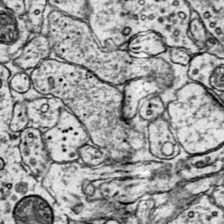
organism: Mouse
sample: Primary visual cortex